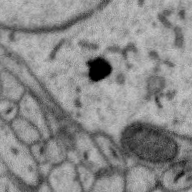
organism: Zebra finch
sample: Brain